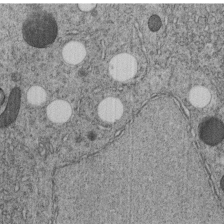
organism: C. elegans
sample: C. elegans embryo early stage